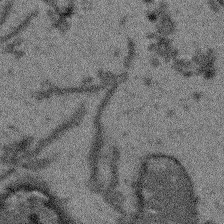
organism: Arabidopsis thaliana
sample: Root tip